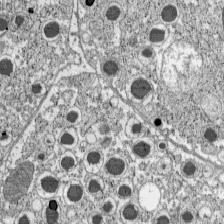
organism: C57BL Mouse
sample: Pancreatic islet